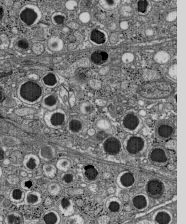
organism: C57BL Mouse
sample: Pancreatic islet